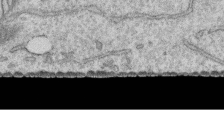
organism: Human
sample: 1205lu cells